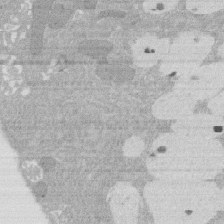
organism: Rat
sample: Salivary granule